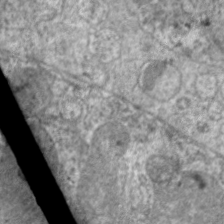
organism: C. elegans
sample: Pharynx